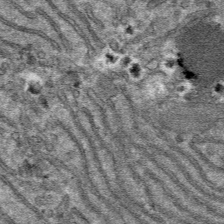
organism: Mouse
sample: Mouse hepatocytes